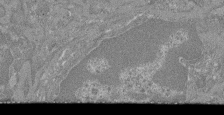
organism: Mouse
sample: Glomerulus